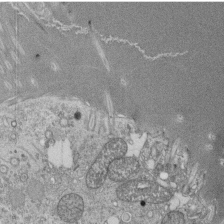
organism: Tetrahymena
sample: Cilia in tetrahymena